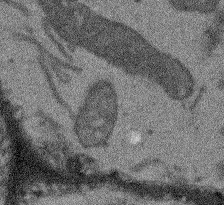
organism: Arabidopsis thaliana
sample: Root tip